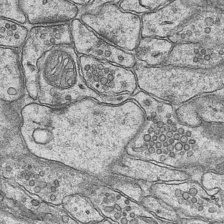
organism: Mouse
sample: CA1 Hippocampus